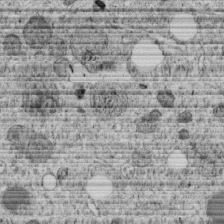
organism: C. elegans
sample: C. elegans embryo early stage